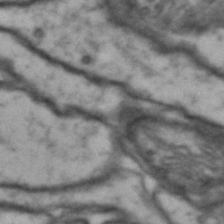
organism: Drosophila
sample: Brain